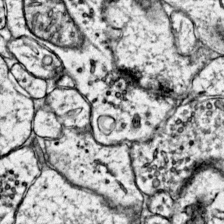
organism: Mouse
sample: Primary visual cortex